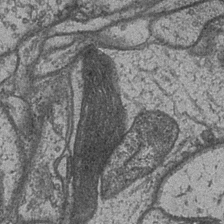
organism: Drosophila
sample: Optic medulla